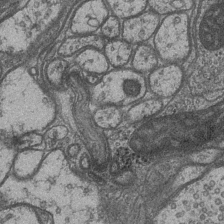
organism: Drosophila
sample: Optic medulla